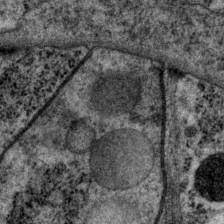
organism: P. pacificus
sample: Pharynx